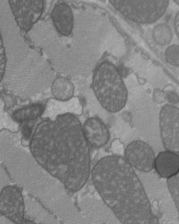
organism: C57BL Mouse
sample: Heart